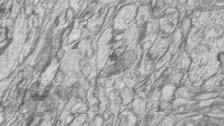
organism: Zebrafish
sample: synaptic ribbons in rod cells and cone cells